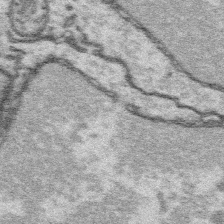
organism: Platynereis dumerilii